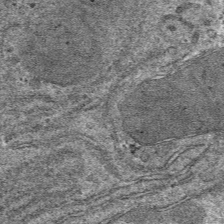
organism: Mouse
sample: Mouse hepatocytes